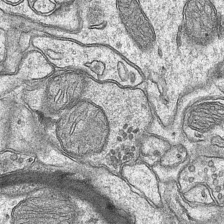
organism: Mouse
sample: CA1 Hippocampus